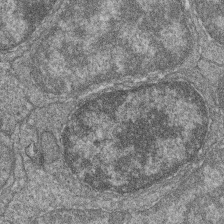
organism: Zebrafish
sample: Cilia; retinal pigment epithelium